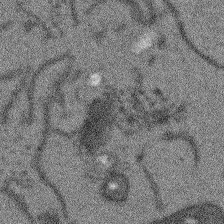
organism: Arabidopsis thaliana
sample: Root tip